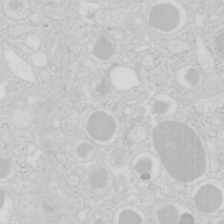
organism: Mouse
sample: Pancreas